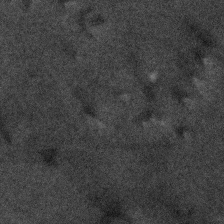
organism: Human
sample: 1205lu cells